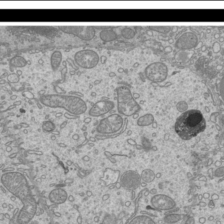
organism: Mouse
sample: Cilia; mouse epididymis